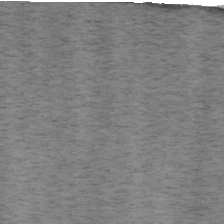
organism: Mouse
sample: OT-I killer T cells with ID8 ovarian cancer cells